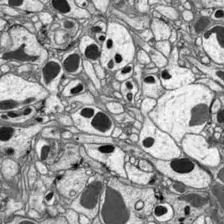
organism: Drosophila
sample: Optic lobe